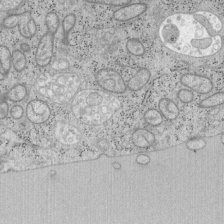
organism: Mouse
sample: OT-I killer T cells with ID8 ovarian cancer cells